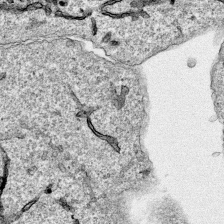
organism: Human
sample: Mitochondria in HCT116 cells